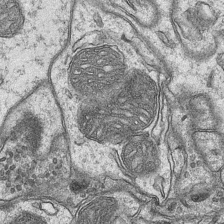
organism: Mouse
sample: CA1 Hippocampus